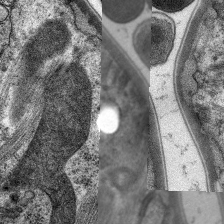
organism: C. elegans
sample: Pharynx